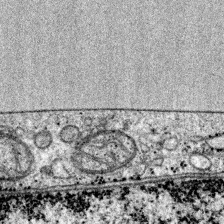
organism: Human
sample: HeLa cells